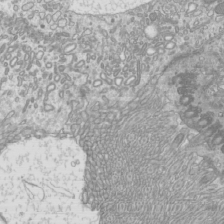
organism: Mouse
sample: Cilia; mouse epididymis